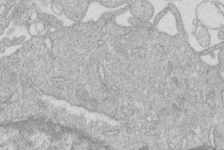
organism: Human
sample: Macrophage cells